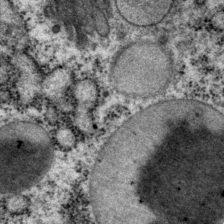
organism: P. pacificus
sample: Pharynx